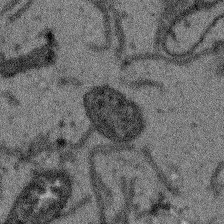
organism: Arabidopsis thaliana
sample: Root tip